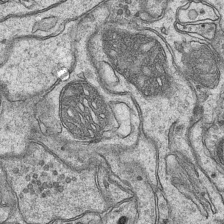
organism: Mouse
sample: CA1 Hippocampus